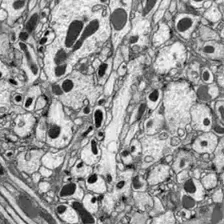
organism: Drosophila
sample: Optic lobe